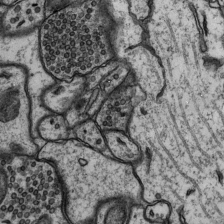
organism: Rat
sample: Hippocampus